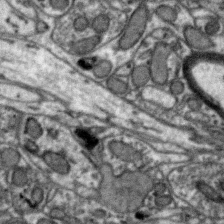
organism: Zebra finch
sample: Brain